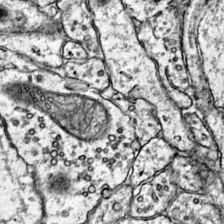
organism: Mouse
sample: Primary visual cortex